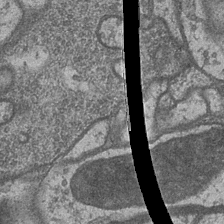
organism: Drosophila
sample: Optic medulla